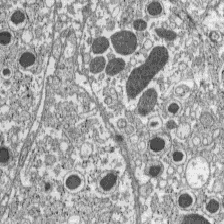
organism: C57BL Mouse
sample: Pancreatic islet